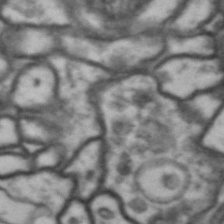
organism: Drosophila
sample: Brain